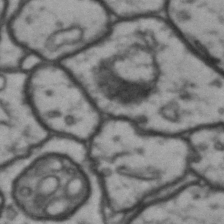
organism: Drosophila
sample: Brain